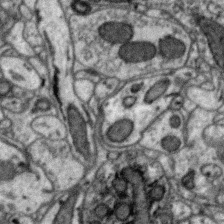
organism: Zebra finch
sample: Brain